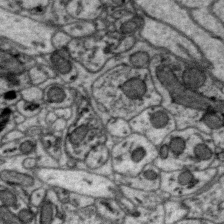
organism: Zebra finch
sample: Brain